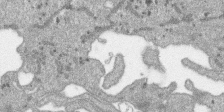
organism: Human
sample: Lung epithelial cells infected with SARS-CoV-2